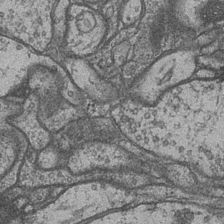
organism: Drosophila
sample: Optic medulla